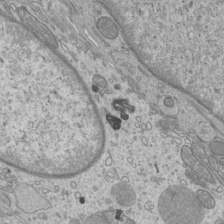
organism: Mouse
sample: Cilia; mouse epididymis